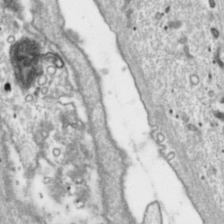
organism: Toxoplasma gondii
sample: Parasites in a vacuole inside a host cell